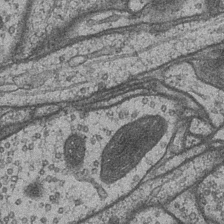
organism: Drosophila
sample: Optic medulla